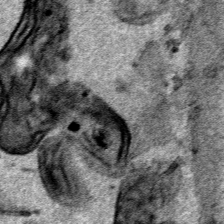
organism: Human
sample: Mitochondria in HCT116 cells